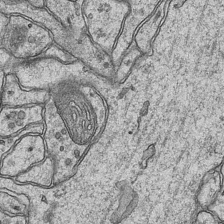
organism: Mouse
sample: CA1 Hippocampus